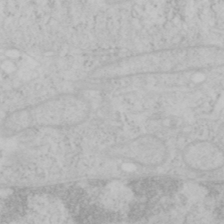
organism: Mouse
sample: OT-I killer T cells with ID8 ovarian cancer cells